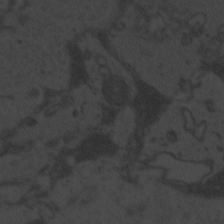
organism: Zebrafish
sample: Macrophage infected with Toxoplasma gondii